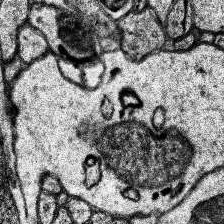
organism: Human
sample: Temporal Lobe